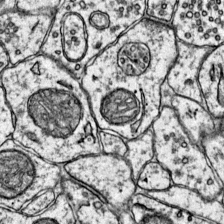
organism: Mouse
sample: Primary visual cortex